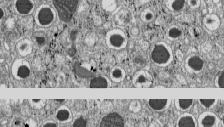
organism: C57BL Mouse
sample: Pancreatic islet